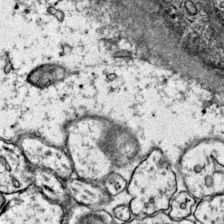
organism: Mouse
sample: Primary visual cortex